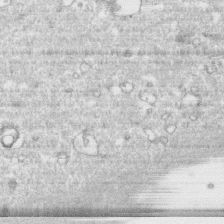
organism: Human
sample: CRL-1474